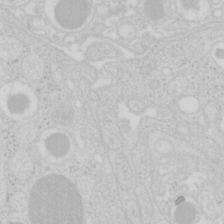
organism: Mouse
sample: Pancreas